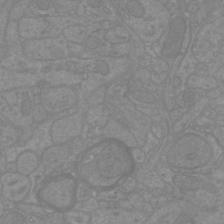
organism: Mouse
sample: Cortical neurons